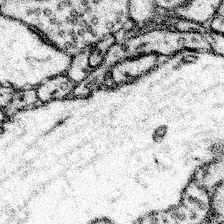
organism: Mouse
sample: Somatosensory cortex neuropil